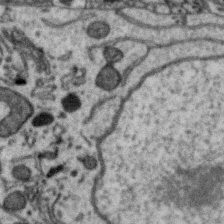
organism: Zebra finch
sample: Brain